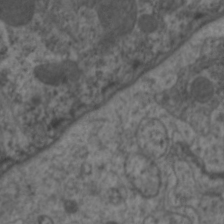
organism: C. elegans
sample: Pharynx